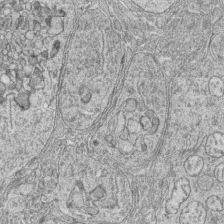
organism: Zebrafish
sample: synaptic ribbons in rod cells and cone cells